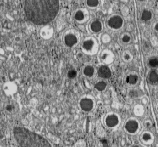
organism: C57BL Mouse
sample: Pancreatic islet